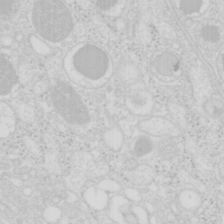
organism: Mouse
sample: Pancreas